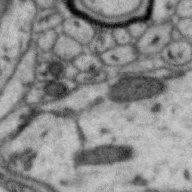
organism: Zebra finch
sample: Brain